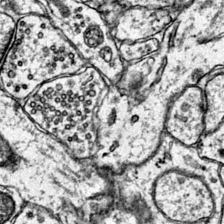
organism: Mouse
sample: Primary visual cortex